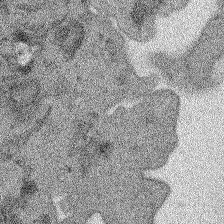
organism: Human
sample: HeLa cells